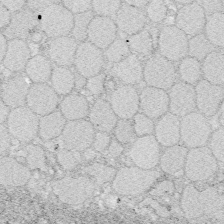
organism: Zebrafish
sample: Whole-Brain